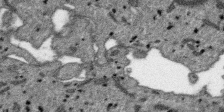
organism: Human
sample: Lung epithelial cells, uninfected (mock) control